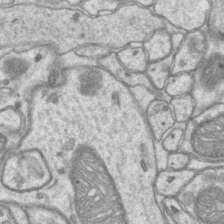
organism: Mouse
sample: CA1 Hippocampus